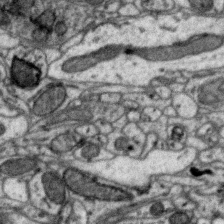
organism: Zebra finch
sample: Brain